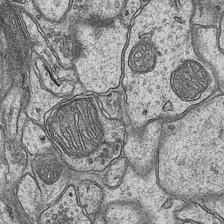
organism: Mouse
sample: CA1 Hippocampus